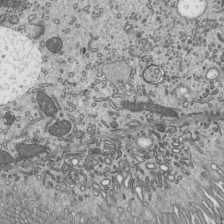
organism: Mouse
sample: Mouse epididymis efferent ductule cilia